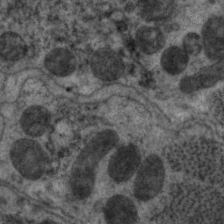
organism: C. elegans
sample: Pharynx